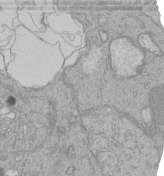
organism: Human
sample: Retinal organoid Rod and Cone cells